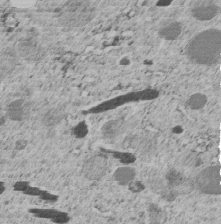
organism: C. elegans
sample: C. elegans embryo early stage